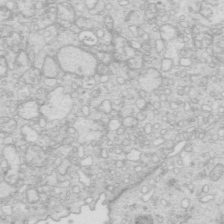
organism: Mouse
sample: Multiciliated cells